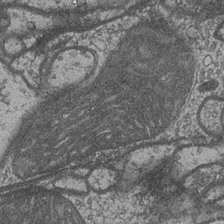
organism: Drosophila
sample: Optic medulla